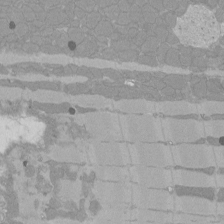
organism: Rat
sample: Left ventricle